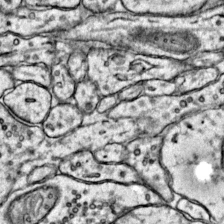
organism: Mouse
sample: Primary visual cortex